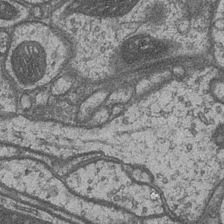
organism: Drosophila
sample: Optic medulla